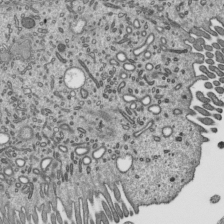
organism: Mouse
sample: Mouse epididymis efferent ductule cilia